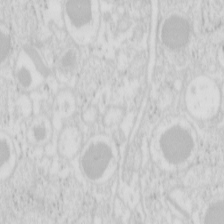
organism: Mouse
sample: Pancreas